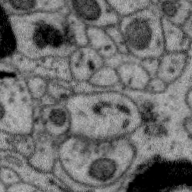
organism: Zebra finch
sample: Brain